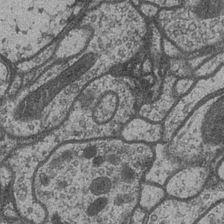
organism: Drosophila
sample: Optic medulla